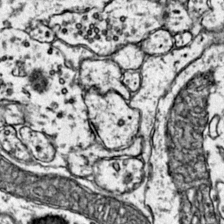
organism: Mouse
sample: Primary visual cortex